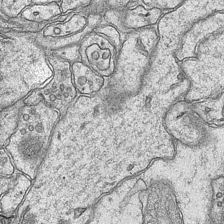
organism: Mouse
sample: CA1 Hippocampus